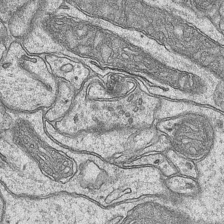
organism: Mouse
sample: CA1 Hippocampus